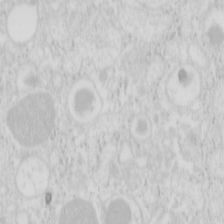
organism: Mouse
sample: Pancreas